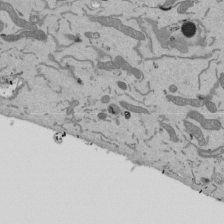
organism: Mouse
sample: ED-1 cell nuclei; centrioles